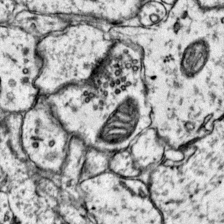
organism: Mouse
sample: Primary visual cortex